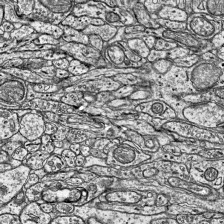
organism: Mouse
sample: Visual Cortex